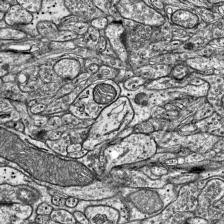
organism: Mouse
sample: Visual Cortex